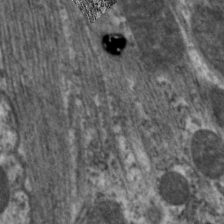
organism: C. elegans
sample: Pharynx